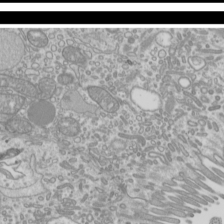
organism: Mouse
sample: Cilia; mouse epididymis